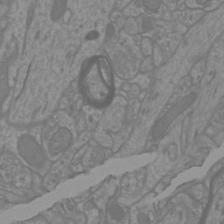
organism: Mouse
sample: Cortical neurons